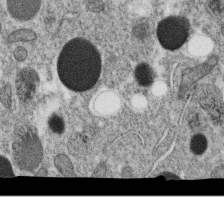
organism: C. elegans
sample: C. elegans oocyte; sperm cells